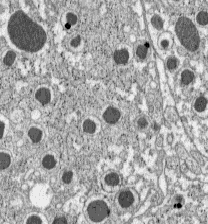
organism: C57BL Mouse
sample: Pancreatic islet